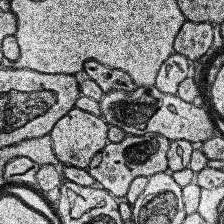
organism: Human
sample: Temporal Lobe